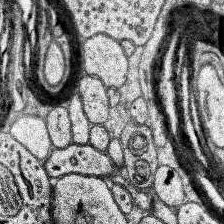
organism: Human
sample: Temporal Lobe